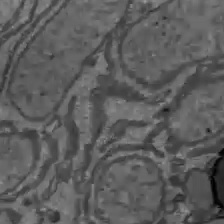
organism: C57BL Mouse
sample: Liver